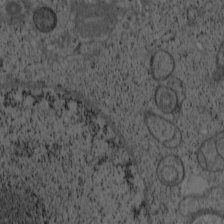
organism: African green monkey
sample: COS-7 cells